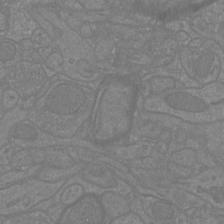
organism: Mouse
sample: Cortical neurons